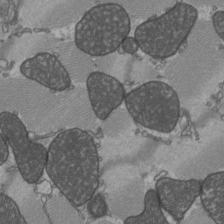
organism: C57BL Mouse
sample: Heart